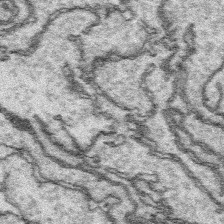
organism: Platynereis dumerilii